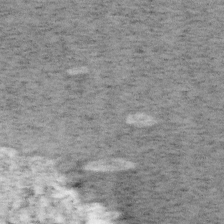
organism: Mouse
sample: OT-I killer T cells with ID8 ovarian cancer cells